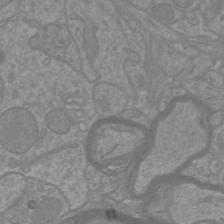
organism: Mouse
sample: Cortical neurons